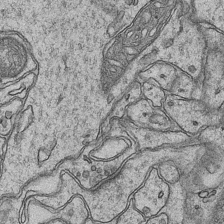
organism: Mouse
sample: CA1 Hippocampus